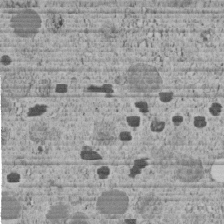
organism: C. elegans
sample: C. elegans embryo early stage